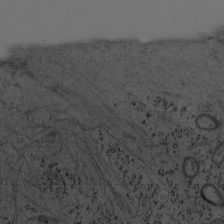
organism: Mouse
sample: OT-I killer T cells with ID8 ovarian cancer cells